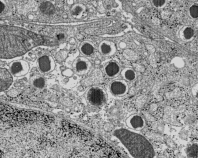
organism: C57BL Mouse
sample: Pancreatic islet